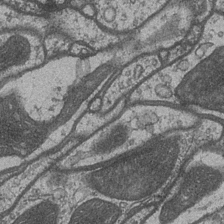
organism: Drosophila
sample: Optic medulla